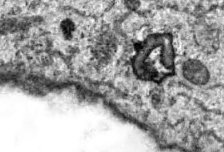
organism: Human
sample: HeLa cells